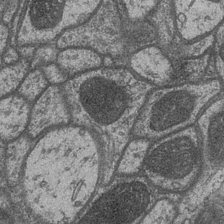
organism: Drosophila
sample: Optic medulla